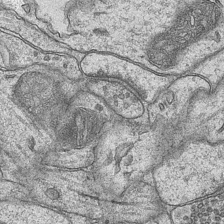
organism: Mouse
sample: CA1 Hippocampus